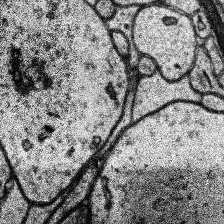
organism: Human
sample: Temporal Lobe